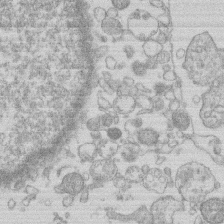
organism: Human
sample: Macrophage cells